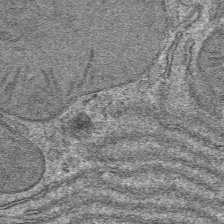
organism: Mouse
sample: Mouse hepatocytes